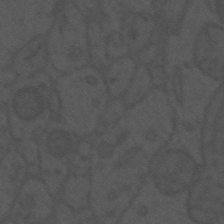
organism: Mouse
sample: Suprachiasmatic nucleus